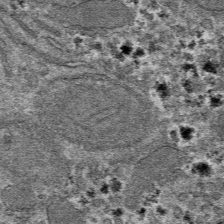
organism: Mouse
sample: Mouse hepatocytes